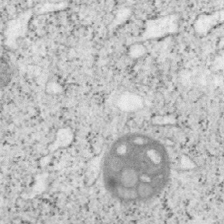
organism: Mouse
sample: OT-I killer T cells with ID8 ovarian cancer cells